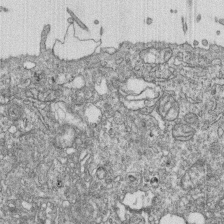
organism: Human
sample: HeLa cell HIV synapse